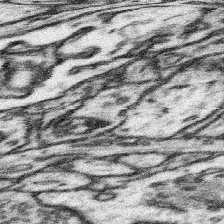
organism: Mouse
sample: Somatosensory cortex neuropil